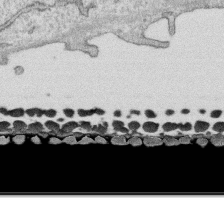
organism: Human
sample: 1205lu cells